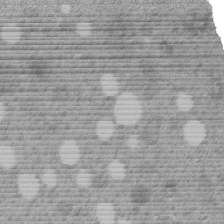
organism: C. elegans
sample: C. elegans embryo early stage